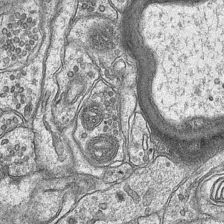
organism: Mouse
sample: CA1 Hippocampus